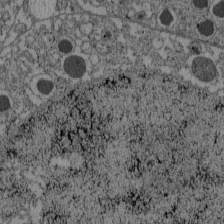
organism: C57BL Mouse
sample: Pancreatic islet